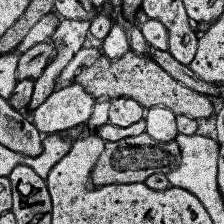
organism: Human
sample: Temporal Lobe